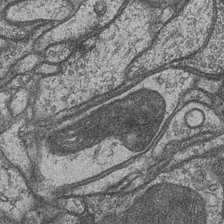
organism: Drosophila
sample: Optic medulla